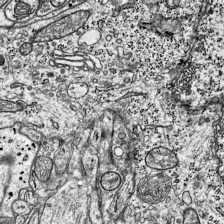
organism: Mouse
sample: Visual Cortex